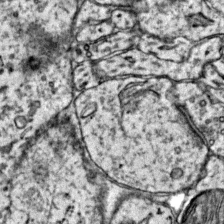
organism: Mouse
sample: Primary visual cortex